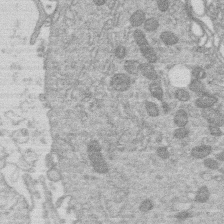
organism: Human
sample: Macrophage cells